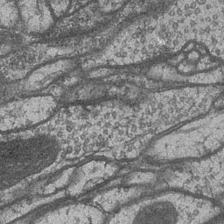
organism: Drosophila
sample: Optic medulla